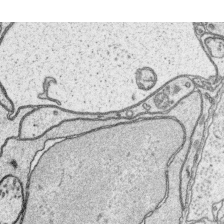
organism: Platynereis dumerilii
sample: Parapodia